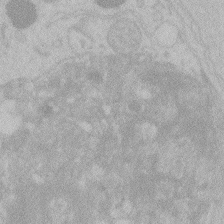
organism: Zebrafish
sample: Macrophage infected with Toxoplasma gondii